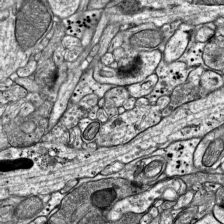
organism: Mouse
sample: Visual Cortex